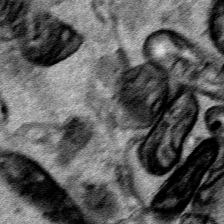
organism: Human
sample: Mitochondria in HCT116 cells